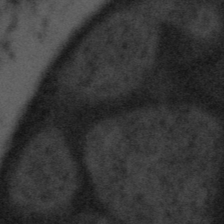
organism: Tuwongella immobilis